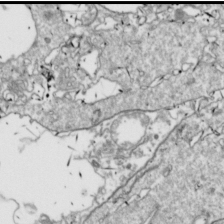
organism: Drosophila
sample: Cell division; meiosis; drosophila spermatocytes